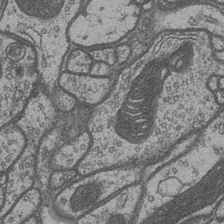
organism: Drosophila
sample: Optic medulla